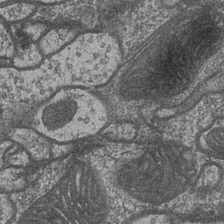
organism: Drosophila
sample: Optic medulla